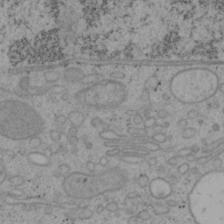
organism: Human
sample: HeLa cells